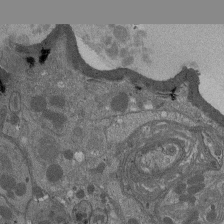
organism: Drosophila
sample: Antenna